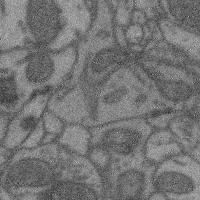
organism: Mouse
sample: Cerebral cortex